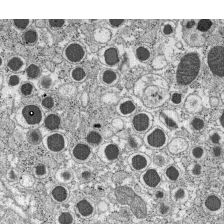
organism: C57BL Mouse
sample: Pancreatic islet